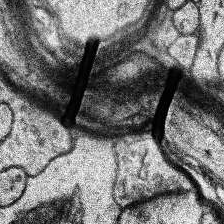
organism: Human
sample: Temporal Lobe